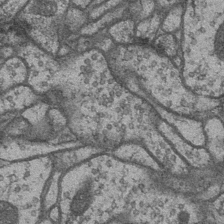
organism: Drosophila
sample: Optic medulla